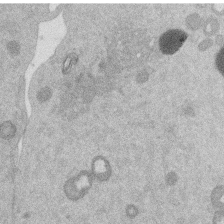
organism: Mouse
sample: Dividing mouse embryo 1 cell stage